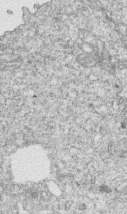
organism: Human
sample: HeLa cell HIV synapse